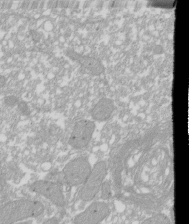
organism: Xenopus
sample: Cilia; centrioles in frog embryo cells